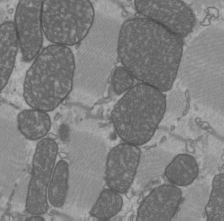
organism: C57BL Mouse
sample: Heart